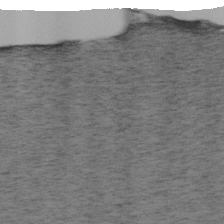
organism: Mouse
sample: OT-I killer T cells with ID8 ovarian cancer cells